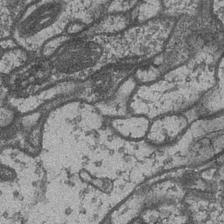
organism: Drosophila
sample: Optic medulla